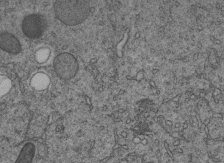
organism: C. elegans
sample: C. elegans embryo early stage